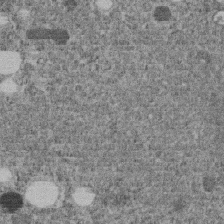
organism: C. elegans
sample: C. elegans embryo early stage